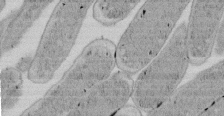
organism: E. coli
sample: Bacterial nucleoid